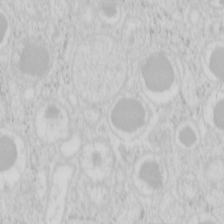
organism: Mouse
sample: Pancreas